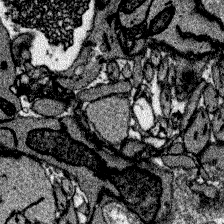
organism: Zebrafish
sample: Larval olfactory bulb